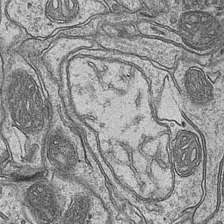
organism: Mouse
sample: CA1 Hippocampus